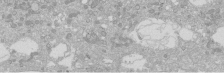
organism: Human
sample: Caco-2 cells